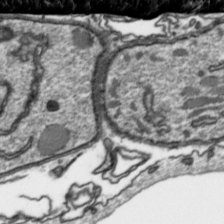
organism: Toxoplasma gondii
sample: Parasites in a vacuole inside a host cell